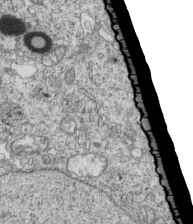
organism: Human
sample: HeLa cell HIV synapse